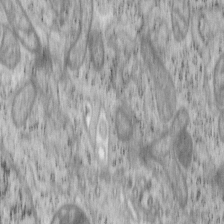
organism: Human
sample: HeLa cells